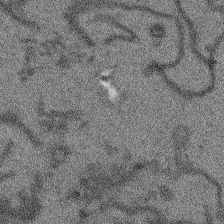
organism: Arabidopsis thaliana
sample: Root tip